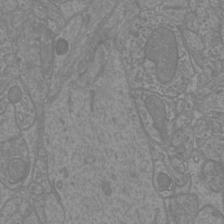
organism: Mouse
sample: Cortical neurons